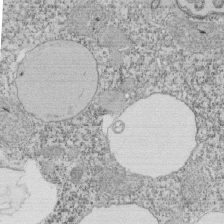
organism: Tetrahymena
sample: Cilia in tetrahymena